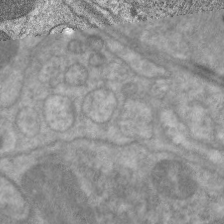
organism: C. elegans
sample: Pharynx